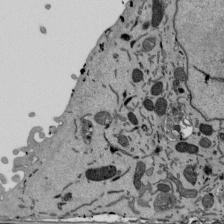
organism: Mouse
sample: ED-1 cell nuclei; centrioles